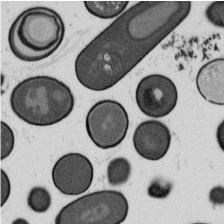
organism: B. subtilis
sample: Bacterial spore